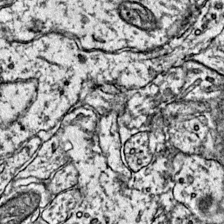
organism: Mouse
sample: Primary visual cortex